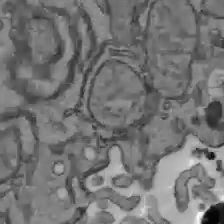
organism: C57BL Mouse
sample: Liver